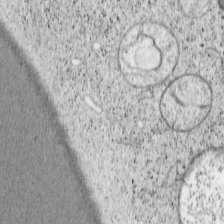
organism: African green monkey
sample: COS-7 cells